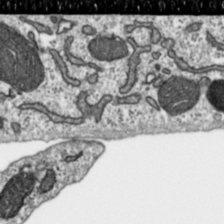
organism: Toxoplasma gondii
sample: Parasites in a vacuole inside a host cell